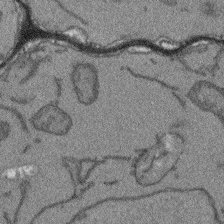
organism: Arabidopsis thaliana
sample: Root tip